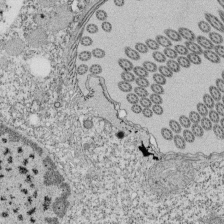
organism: Tetrahymena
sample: Cilia in tetrahymena